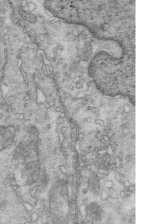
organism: Mouse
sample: Multiciliated cells